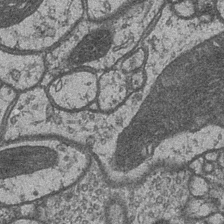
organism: Drosophila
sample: Optic medulla